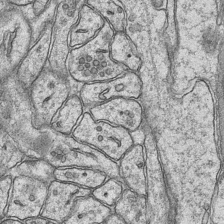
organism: Mouse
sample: CA1 Hippocampus